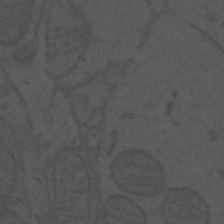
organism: Mouse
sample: Suprachiasmatic nucleus